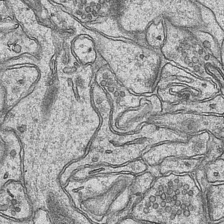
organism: Mouse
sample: CA1 Hippocampus